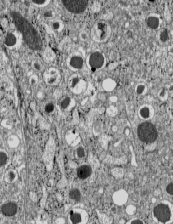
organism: C57BL Mouse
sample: Pancreatic islet